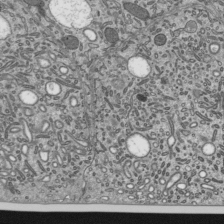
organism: Mouse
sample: Mouse epididymis efferent ductule cilia